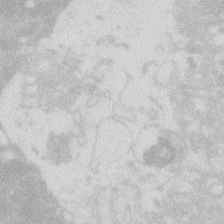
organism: Zebrafish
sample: Macrophage